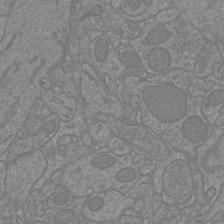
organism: Mouse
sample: Cortical neurons